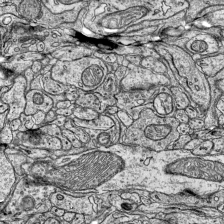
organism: Mouse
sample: Visual Cortex